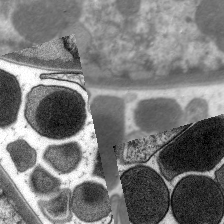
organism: C. elegans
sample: Pharynx